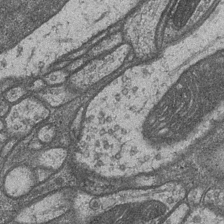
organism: Drosophila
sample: Optic medulla